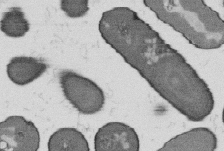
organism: B. subtilis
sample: Bacterial spore